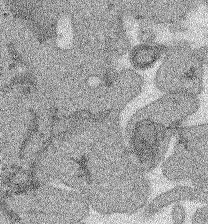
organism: Human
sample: HeLa cells